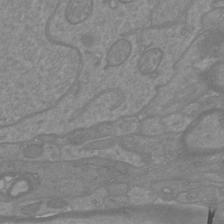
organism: Mouse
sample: Cortical neurons